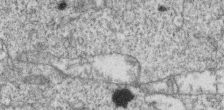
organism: Human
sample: HeLa cell HIV synapse